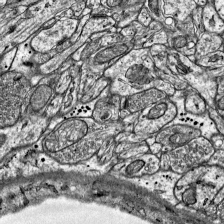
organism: Mouse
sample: Visual Cortex